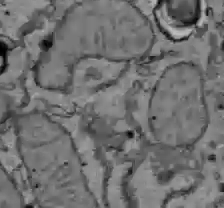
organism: C57BL Mouse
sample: Liver